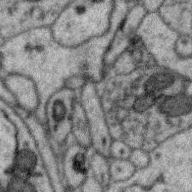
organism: Zebra finch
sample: Brain